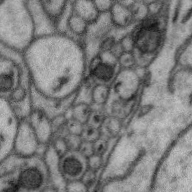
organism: Zebra finch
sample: Brain